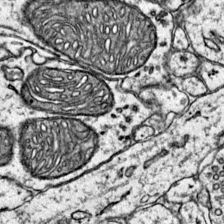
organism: Mouse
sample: Primary visual cortex